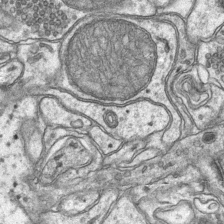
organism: Mouse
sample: CA1 Hippocampus